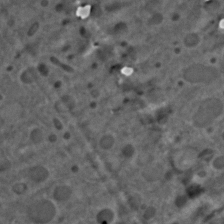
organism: C. elegans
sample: C. elegans embryo